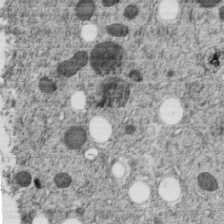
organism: C. elegans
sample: C. elegans embryo early stage